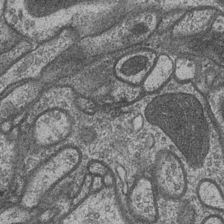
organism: Drosophila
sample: Optic medulla